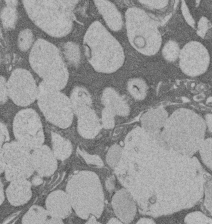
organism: Rat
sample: Salivary granule